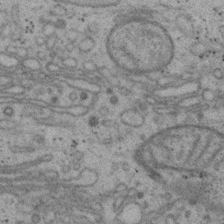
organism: Human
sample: HeLa cells